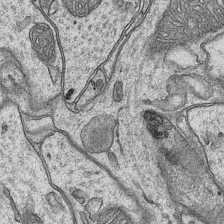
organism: Mouse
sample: CA1 Hippocampus